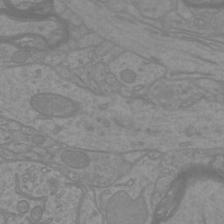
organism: Mouse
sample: Cortical neurons